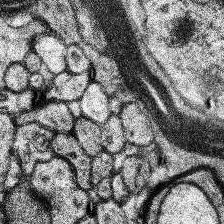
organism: Human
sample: Temporal Lobe